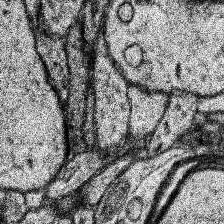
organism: Human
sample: Temporal Lobe